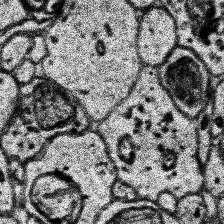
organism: Human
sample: Temporal Lobe